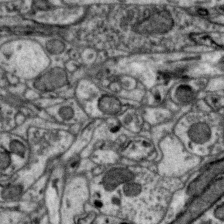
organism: Zebra finch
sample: Brain